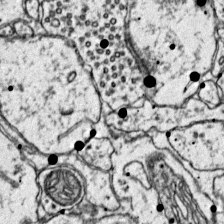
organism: Mouse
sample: Primary visual cortex